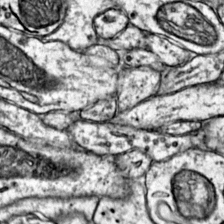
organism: Mouse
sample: Primary visual cortex